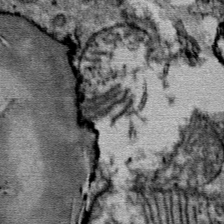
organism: Mouse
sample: Mouse Salivary gland